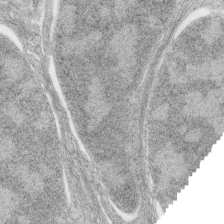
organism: Zebrafish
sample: synaptic ribbons in rod cells and cone cells